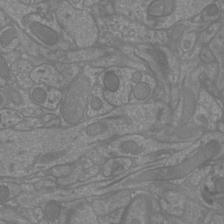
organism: Mouse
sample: Cortical neurons